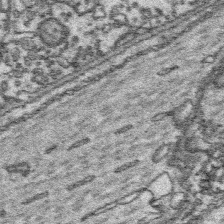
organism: Platynereis dumerilii